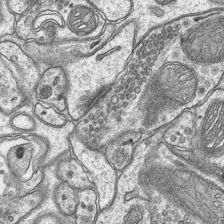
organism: Mouse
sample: CA1 Hippocampus